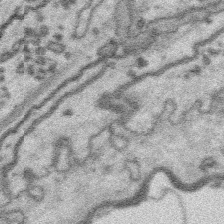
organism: Platynereis dumerilii